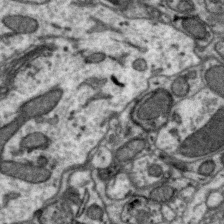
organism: Zebra finch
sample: Brain